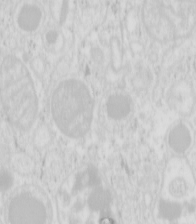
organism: Mouse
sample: Pancreas